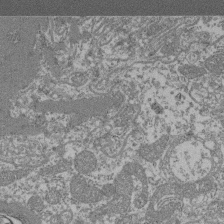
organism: Mouse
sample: Glomerulus